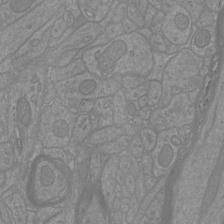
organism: Mouse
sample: Cortical neurons